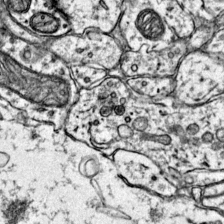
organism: Mouse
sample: Primary visual cortex